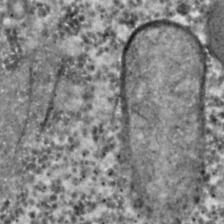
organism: C. elegans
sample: C. elegans embryo